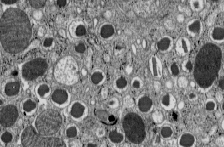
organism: C57BL Mouse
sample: Pancreatic islet